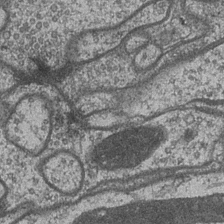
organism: Drosophila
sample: Optic medulla